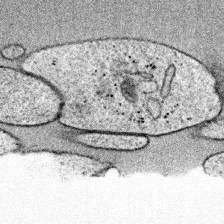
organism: Human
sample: HeLa cells